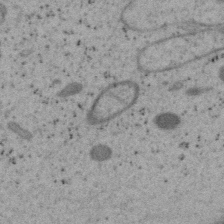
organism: Human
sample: HeLa cells